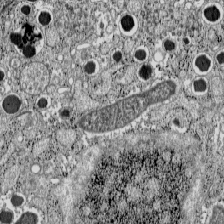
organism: C57BL Mouse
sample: Pancreatic islet